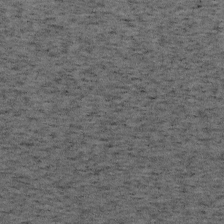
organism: Mouse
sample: OT-I killer T cells with ID8 ovarian cancer cells